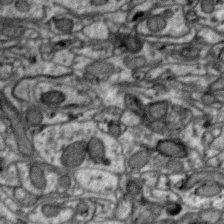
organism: Zebra finch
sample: Brain